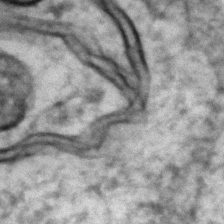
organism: Zebrafish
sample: Zebrafish embryo